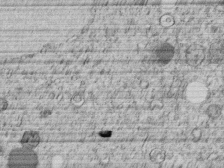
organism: C. elegans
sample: C. elegans embryo early stage